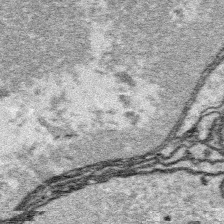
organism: Platynereis dumerilii